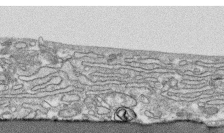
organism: Human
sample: CRL-1474